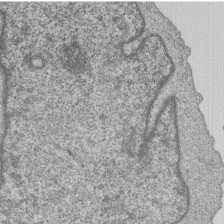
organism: Human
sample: MDA-MB-231 cells